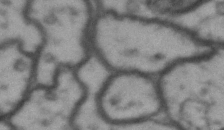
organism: Drosophila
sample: Brain